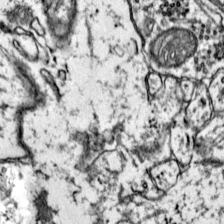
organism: Mouse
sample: Primary visual cortex